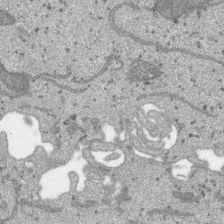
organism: Human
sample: Lung epithelial cells infected with SARS-CoV-2